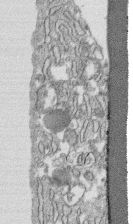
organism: Human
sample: CRL-1474